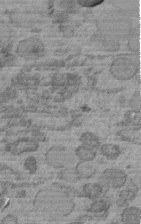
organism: C. elegans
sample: C. elegans embryo early stage